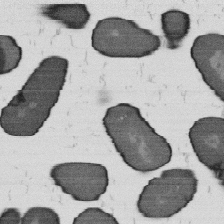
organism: B. subtilis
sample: Bacterial spore